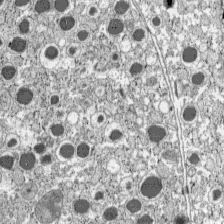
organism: C57BL Mouse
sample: Pancreatic islet